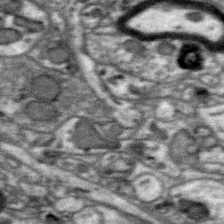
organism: Zebra finch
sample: Brain